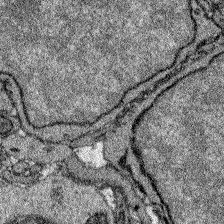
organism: Zebrafish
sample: Larval olfactory bulb